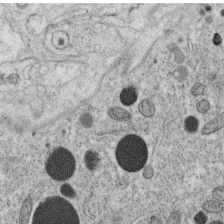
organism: C. elegans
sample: C. elegans oocyte; sperm cells